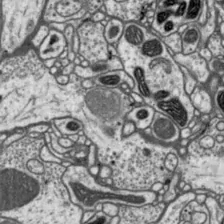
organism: Drosophila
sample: Protocerebral bridge